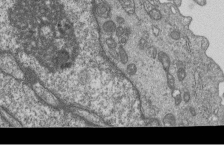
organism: Human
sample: MDA-MB-231 cells